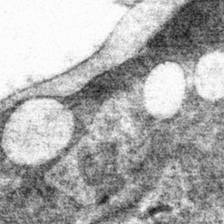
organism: Mouse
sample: Mouse hepatocytes